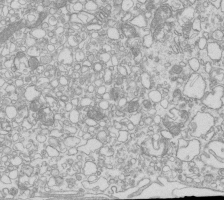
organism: Mouse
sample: Macrophages